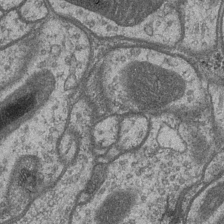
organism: Drosophila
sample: Optic medulla